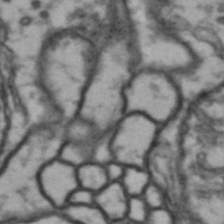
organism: Drosophila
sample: Brain